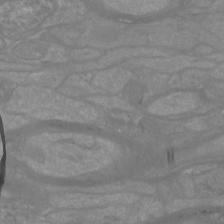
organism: Mouse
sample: Cortical neurons